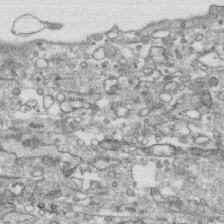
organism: Human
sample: CRL-1474